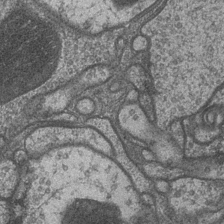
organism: Drosophila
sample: Optic medulla